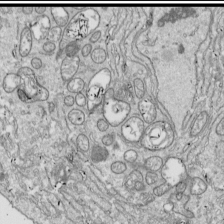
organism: Drosophila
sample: Cell division; meiosis; drosophila spermatocytes